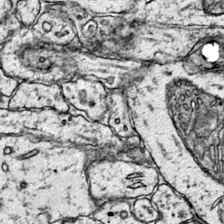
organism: Mouse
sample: Primary visual cortex